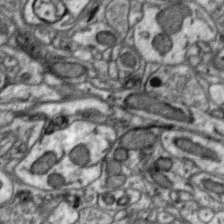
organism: Zebra finch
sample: Brain